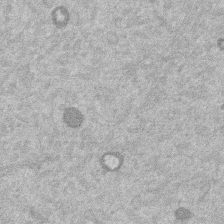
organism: Mouse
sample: Dividing mouse embryo 1 cell stage